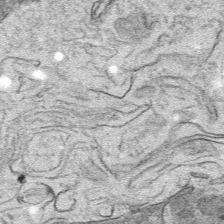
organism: Mouse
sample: Mouse hepatocytes